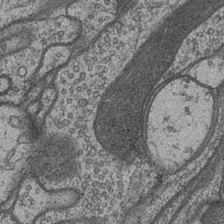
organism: Drosophila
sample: Optic medulla